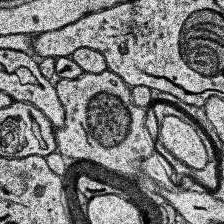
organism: Human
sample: Temporal Lobe